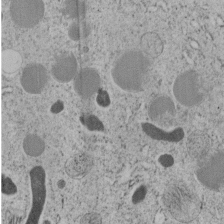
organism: C. elegans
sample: C. elegans embryo early stage